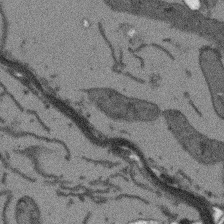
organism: Arabidopsis thaliana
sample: Root tip